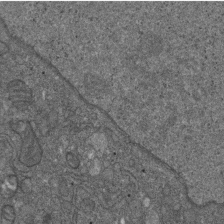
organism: Drosophila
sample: Nephrocyte